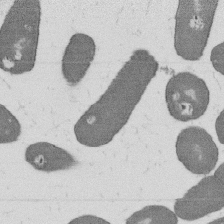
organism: B. subtilis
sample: Bacterial spore